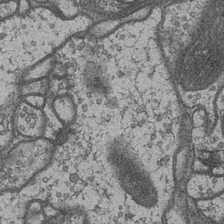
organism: Drosophila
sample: Optic medulla